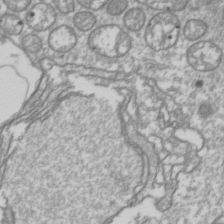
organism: Drosophila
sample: Cell division; meiosis; drosophila spermatocytes